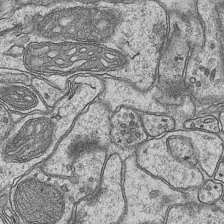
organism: Mouse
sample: CA1 Hippocampus